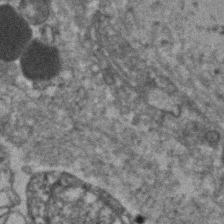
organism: Human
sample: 1205lu cells